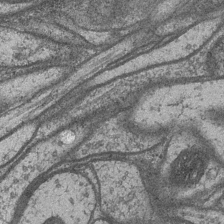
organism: Drosophila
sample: Optic medulla